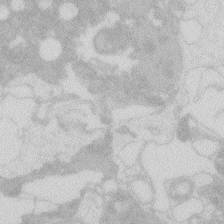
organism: Zebrafish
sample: Macrophage